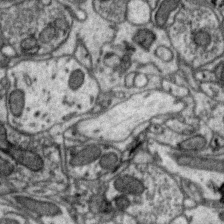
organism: Zebra finch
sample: Brain